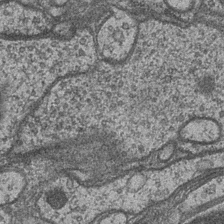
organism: Drosophila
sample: Optic medulla